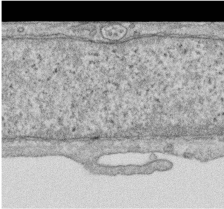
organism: Human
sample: Centriole in RPE cells